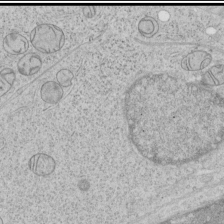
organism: Human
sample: Mitochondria in HCT116 cells